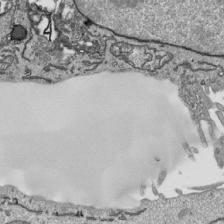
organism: Human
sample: Mitochondria in HCT116 cells